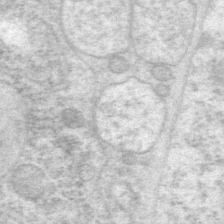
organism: P. pacificus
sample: Pharynx